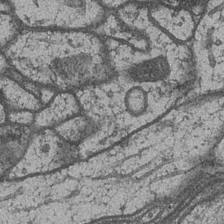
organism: Drosophila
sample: Optic medulla